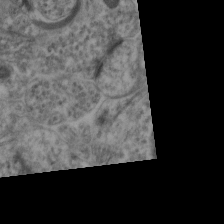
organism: Mouse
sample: Neocortex